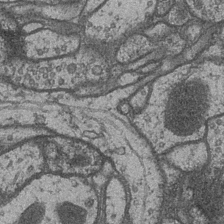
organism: Drosophila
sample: Optic medulla